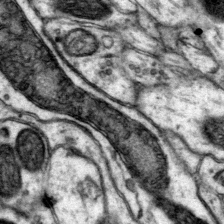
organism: Mouse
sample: Primary visual cortex